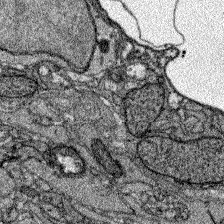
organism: Zebrafish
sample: Larval olfactory bulb